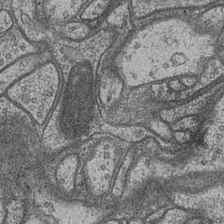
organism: Drosophila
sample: Optic medulla